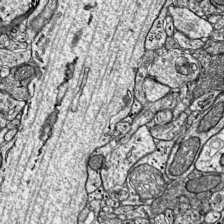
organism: Mouse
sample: Visual Cortex